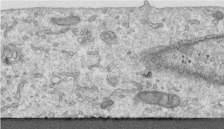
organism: Human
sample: Centriole in RPE cells